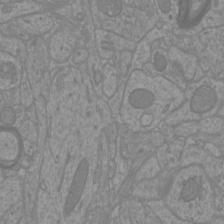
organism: Mouse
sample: Cortical neurons